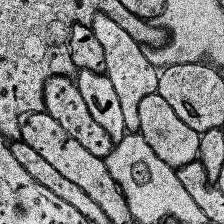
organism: Human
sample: Temporal Lobe